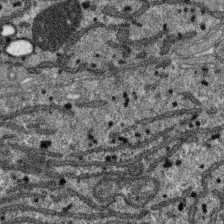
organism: Human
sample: Lung epithelial cells infected with SARS-CoV-2